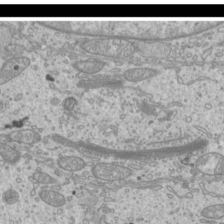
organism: Mouse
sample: Cilia; mouse epididymis